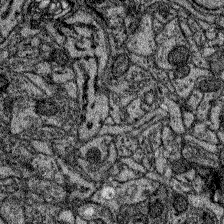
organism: Zebrafish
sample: Larval olfactory bulb